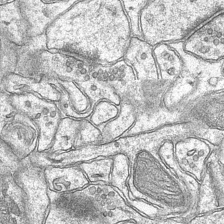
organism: Mouse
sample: CA1 Hippocampus